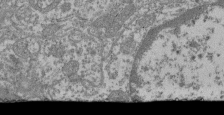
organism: Mouse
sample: Glomerulus